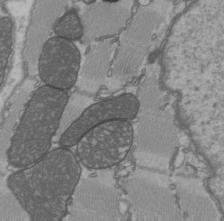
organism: C57BL Mouse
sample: Heart